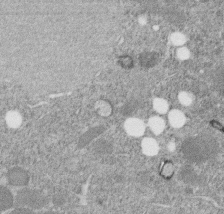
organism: C. elegans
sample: C. elegans embryo early stage